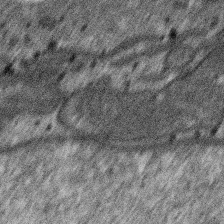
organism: Human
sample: Lung epithelial cells infected with SARS-CoV-2